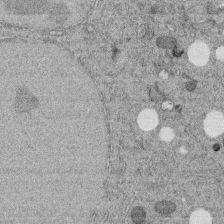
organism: C. elegans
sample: C. elegans embryo early stage